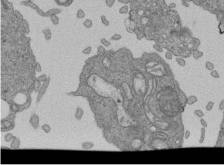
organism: Human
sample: Retinal organoid Rod and Cone cells